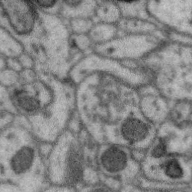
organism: Zebra finch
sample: Brain